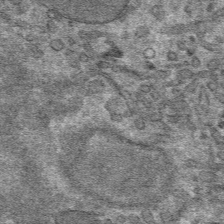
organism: Mouse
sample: Mouse hepatocytes